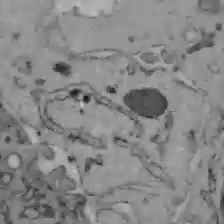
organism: C57BL Mouse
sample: Liver